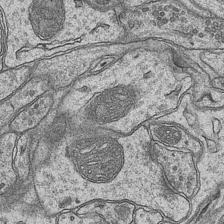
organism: Mouse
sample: CA1 Hippocampus